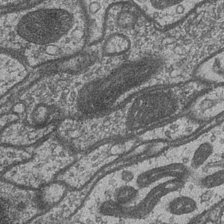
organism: Drosophila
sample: Optic medulla